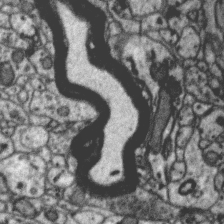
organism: Zebra finch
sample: Brain